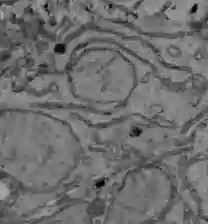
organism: C57BL Mouse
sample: Liver